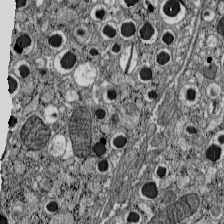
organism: C57BL Mouse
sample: Pancreatic islet